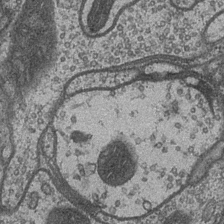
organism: Drosophila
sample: Optic medulla